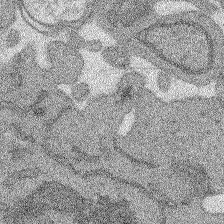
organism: Human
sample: HeLa cells